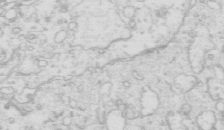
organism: Mouse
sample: Multiciliated cells